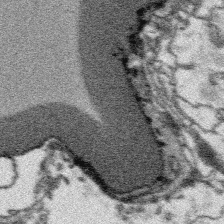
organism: Platynereis dumerilii